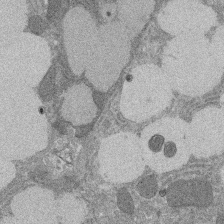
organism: Rat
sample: Salivary granule